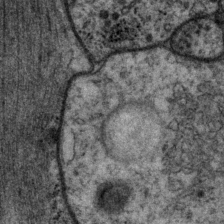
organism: P. pacificus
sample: Pharynx